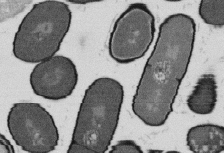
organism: B. subtilis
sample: Bacterial spore